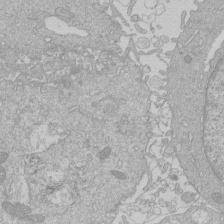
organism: Human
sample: Macrophage cells